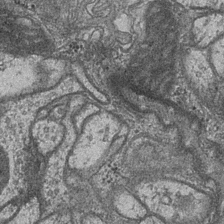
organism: Drosophila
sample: Optic medulla